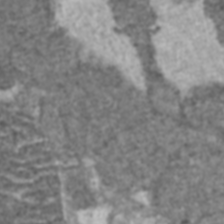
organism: C57BL Mouse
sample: Heart